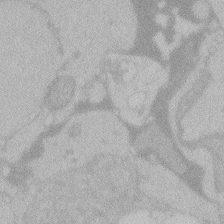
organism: Zebrafish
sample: Macrophage infected with Toxoplasma gondii